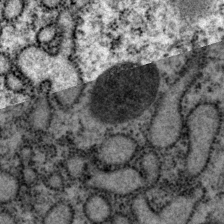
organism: P. pacificus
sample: Pharynx